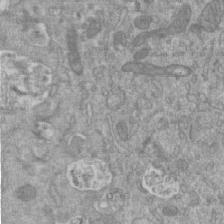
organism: Mouse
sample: ED-1 cell nuclei; centrioles